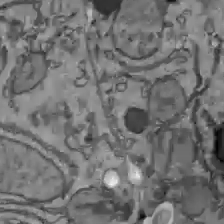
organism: C57BL Mouse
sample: Liver